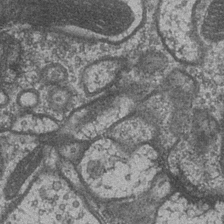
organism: Drosophila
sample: Optic medulla